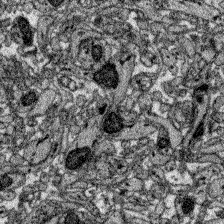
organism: Zebrafish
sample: Larval olfactory bulb